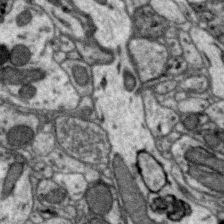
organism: Zebra finch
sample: Brain